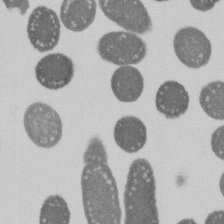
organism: E. coli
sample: Bacterial nucleoid